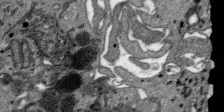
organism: Human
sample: Lung epithelial cells, uninfected (mock) control